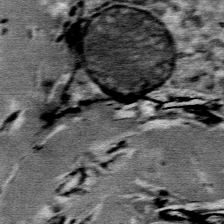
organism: Mouse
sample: Mouse Salivary gland